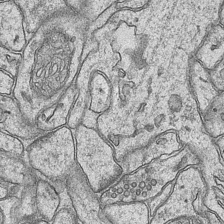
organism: Mouse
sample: CA1 Hippocampus